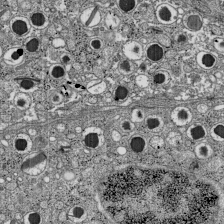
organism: C57BL Mouse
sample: Pancreatic islet